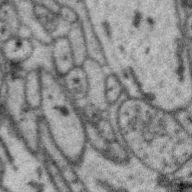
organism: Zebra finch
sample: Brain